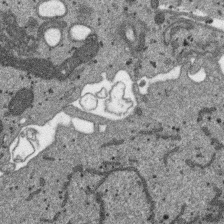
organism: Human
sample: Lung epithelial cells infected with SARS-CoV-2